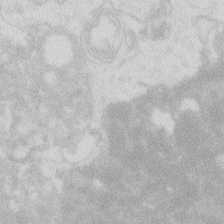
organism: Zebrafish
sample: Macrophage